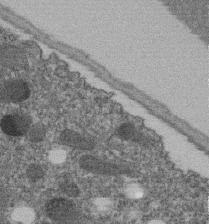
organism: C. elegans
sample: C. elegans embryo early stage